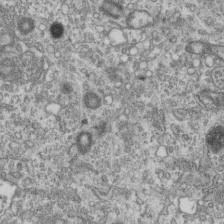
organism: Mouse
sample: Centriole in ependymal cells